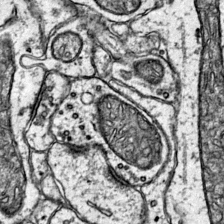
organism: Mouse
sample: Primary visual cortex